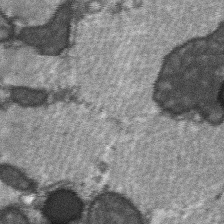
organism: C57BL Mouse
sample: Soleus